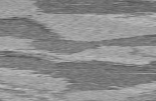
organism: C57BL Mouse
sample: Heart